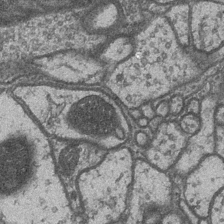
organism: Drosophila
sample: Optic medulla